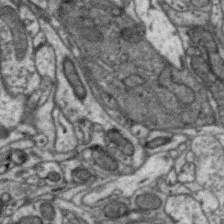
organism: Zebra finch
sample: Brain